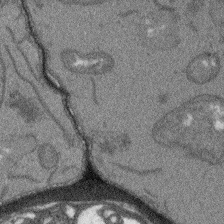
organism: Arabidopsis thaliana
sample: Root tip